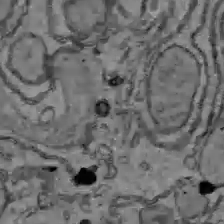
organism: C57BL Mouse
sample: Liver